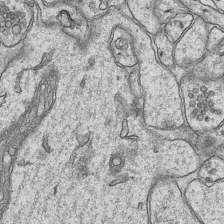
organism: Mouse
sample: CA1 Hippocampus